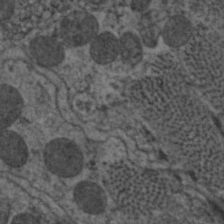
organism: C. elegans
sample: Pharynx